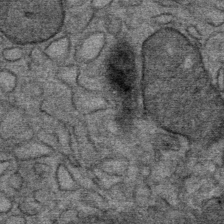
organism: Mouse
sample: Mouse Salivary gland